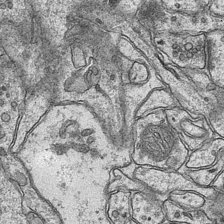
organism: Mouse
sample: CA1 Hippocampus